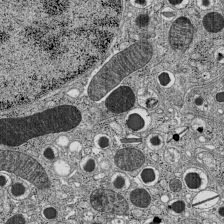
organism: C57BL Mouse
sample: Pancreatic islet